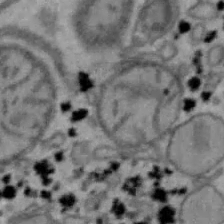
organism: Mouse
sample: Liver